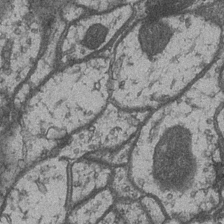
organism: Drosophila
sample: Optic medulla